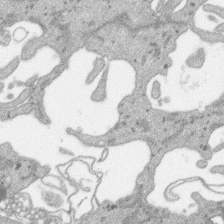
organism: Human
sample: Lung epithelial cells infected with SARS-CoV-2